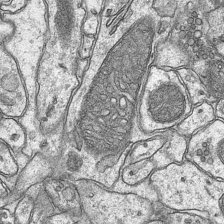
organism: Mouse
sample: CA1 Hippocampus